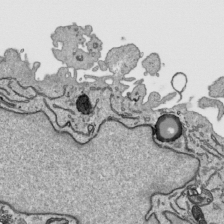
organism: Human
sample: Mitochondria in HCT116 cells